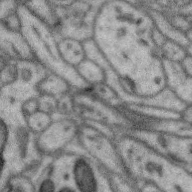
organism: Zebra finch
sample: Brain